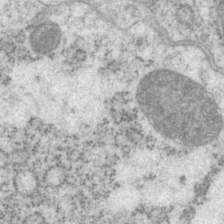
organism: P. pacificus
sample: Pharynx